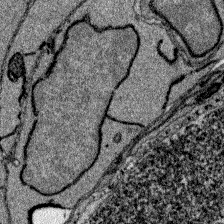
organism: Zebrafish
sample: Larval olfactory bulb